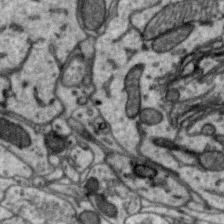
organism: Zebra finch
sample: Brain